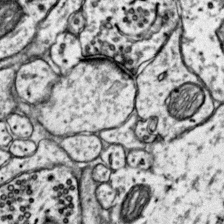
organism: Mouse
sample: Primary visual cortex